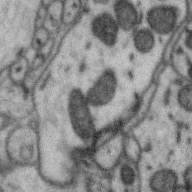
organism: Zebra finch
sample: Brain